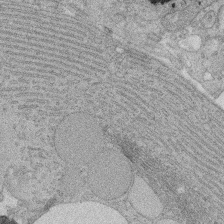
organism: Rat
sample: Salivary granule